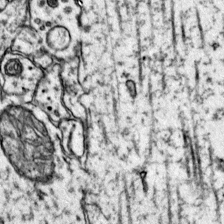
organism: Mouse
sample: Primary visual cortex